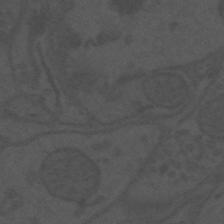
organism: Mouse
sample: Suprachiasmatic nucleus